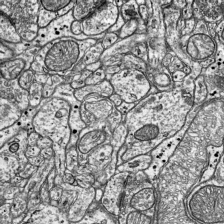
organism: Mouse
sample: Visual Cortex